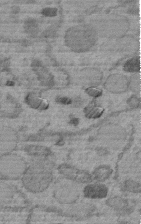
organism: C. elegans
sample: C. elegans embryo early stage